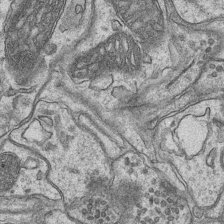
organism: Mouse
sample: CA1 Hippocampus